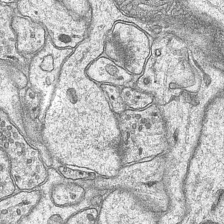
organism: Mouse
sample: CA1 Hippocampus